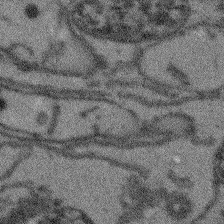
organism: Arabidopsis thaliana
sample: Root tip